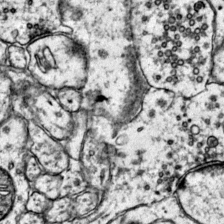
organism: Mouse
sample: Primary visual cortex